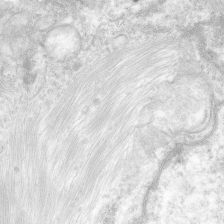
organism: Human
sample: Neocortex